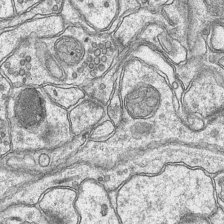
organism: Mouse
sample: CA1 Hippocampus